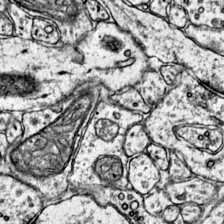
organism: Mouse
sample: Primary visual cortex